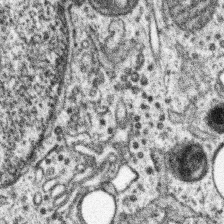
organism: Human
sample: HeLa cells